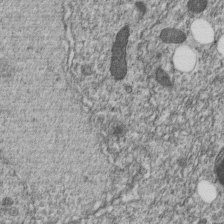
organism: C. elegans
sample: C. elegans embryo early stage